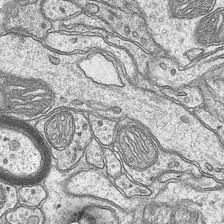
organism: Mouse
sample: CA1 Hippocampus